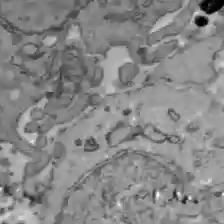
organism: C57BL Mouse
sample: Liver